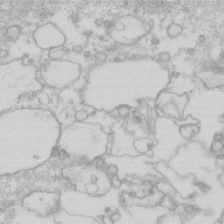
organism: Human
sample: Fibroblast cells